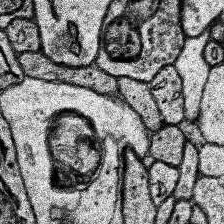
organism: Human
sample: Temporal Lobe